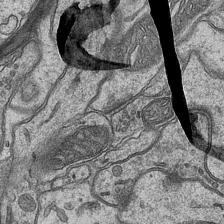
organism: Mouse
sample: CA1 Hippocampus